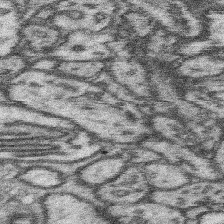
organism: Mouse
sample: Somatosensory cortex neuropil